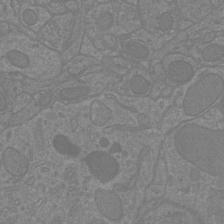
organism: Mouse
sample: Cortical neurons